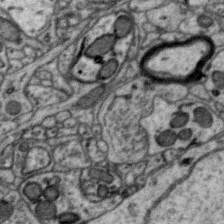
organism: Zebra finch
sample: Brain